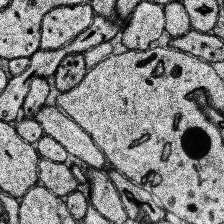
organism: Human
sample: Temporal Lobe